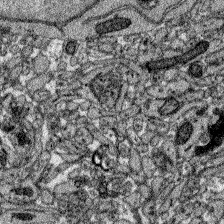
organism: Zebrafish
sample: Larval olfactory bulb